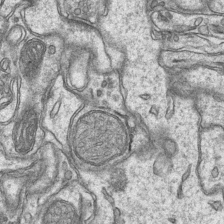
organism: Mouse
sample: CA1 Hippocampus